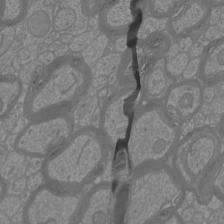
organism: Mouse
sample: Cortical neurons